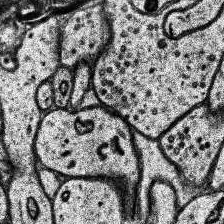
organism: Human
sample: Temporal Lobe